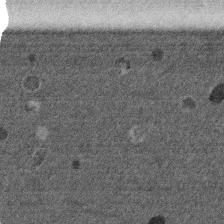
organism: Mouse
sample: Dividing mouse embryo 1 cell stage